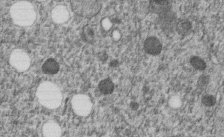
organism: C. elegans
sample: C. elegans embryo early stage